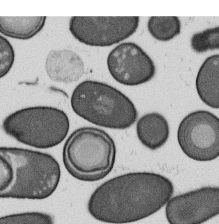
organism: B. subtilis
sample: Bacterial spore